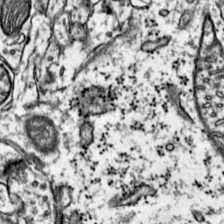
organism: Mouse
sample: Primary visual cortex